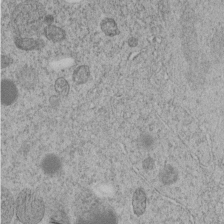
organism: C. elegans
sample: C. elegans embryo early stage